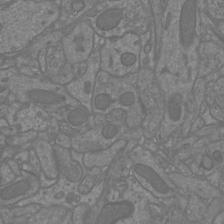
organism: Mouse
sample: Cortical neurons